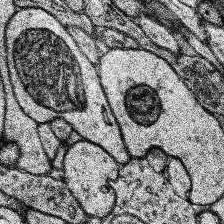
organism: Human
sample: Temporal Lobe